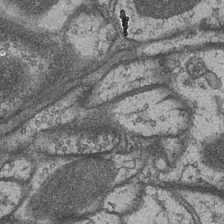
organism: Drosophila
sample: Optic medulla